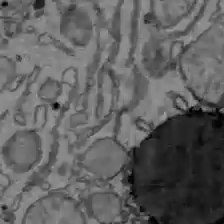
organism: C57BL Mouse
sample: Liver